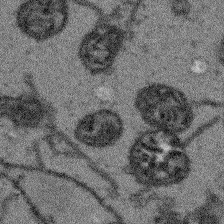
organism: Arabidopsis thaliana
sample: Root tip